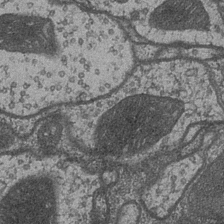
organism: Drosophila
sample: Optic medulla